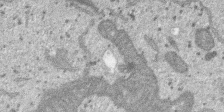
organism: Human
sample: Lung epithelial cells infected with SARS-CoV-2